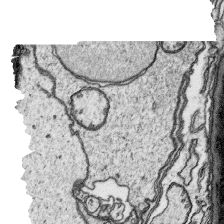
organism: Platynereis dumerilii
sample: Parapodia